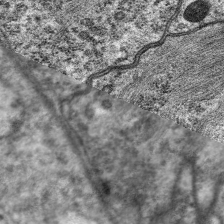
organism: C. elegans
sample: Pharynx